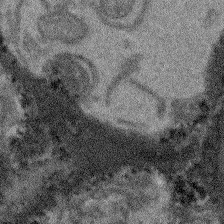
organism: Arabidopsis thaliana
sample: Root tip